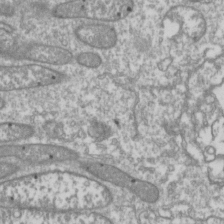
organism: Drosophila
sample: Cell division; meiosis; drosophila spermatocytes